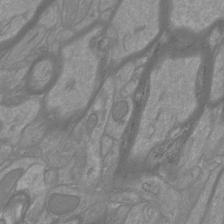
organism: Mouse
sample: Cortical neurons